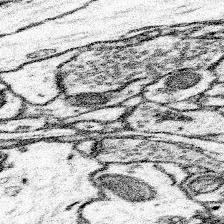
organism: Mouse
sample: Somatosensory cortex neuropil